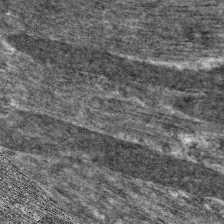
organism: C. elegans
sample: Pharynx